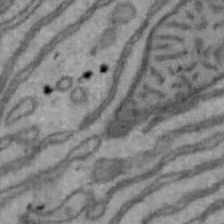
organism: Mouse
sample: Liver